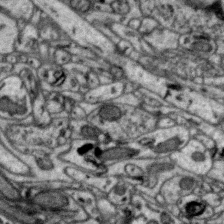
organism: Zebra finch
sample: Brain